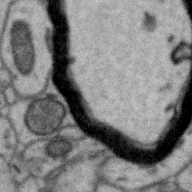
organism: Zebra finch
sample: Brain